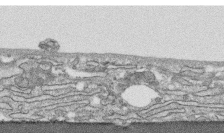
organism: Human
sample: CRL-1474